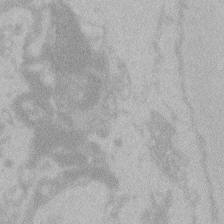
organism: Zebrafish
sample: Macrophage infected with Toxoplasma gondii